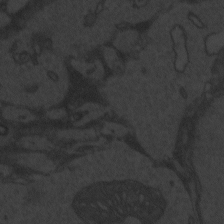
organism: Zebrafish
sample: Macrophage infected with Toxoplasma gondii